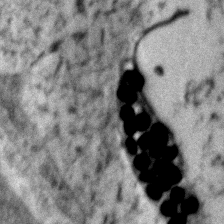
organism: Zebrafish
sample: Zebrafish embryo